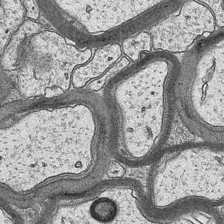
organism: Mouse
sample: CA1 Hippocampus